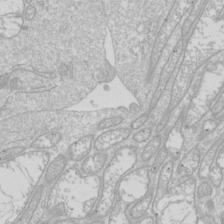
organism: Drosophila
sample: Cell division; meiosis; drosophila spermatocytes